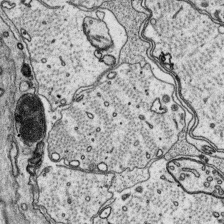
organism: Platynereis dumerilii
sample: Parapodia